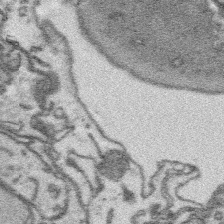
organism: Platynereis dumerilii